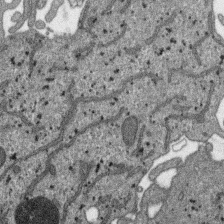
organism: Human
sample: Lung epithelial cells infected with SARS-CoV-2